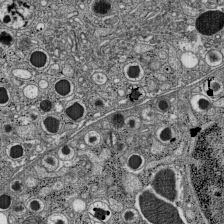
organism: C57BL Mouse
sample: Pancreatic islet